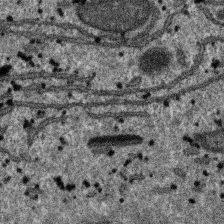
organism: Human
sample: Lung epithelial cells infected with SARS-CoV-2